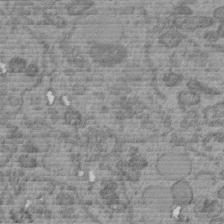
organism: C. elegans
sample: C. elegans embryo early stage